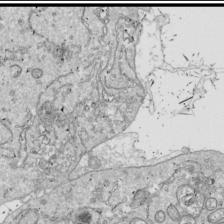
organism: Drosophila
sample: Cell division; meiosis; drosophila spermatocytes